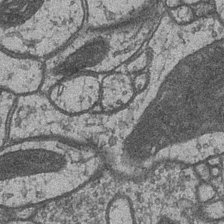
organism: Drosophila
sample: Optic medulla